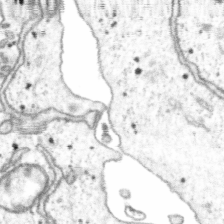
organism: Human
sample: HeLa cells